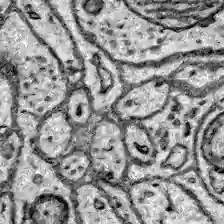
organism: Zebrafish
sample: Brain